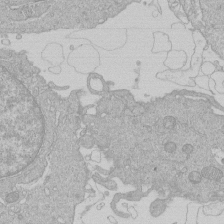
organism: Human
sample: Macrophage cells